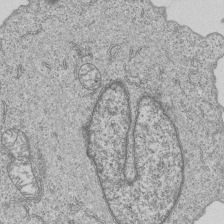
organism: Human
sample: MDA-MB-231 cells